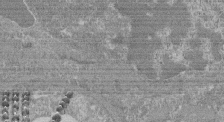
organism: Mouse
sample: Glomerulus